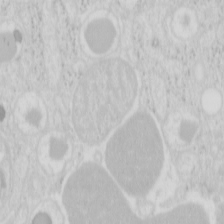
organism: Mouse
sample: Pancreas